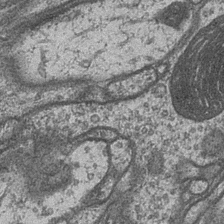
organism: Drosophila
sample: Optic medulla